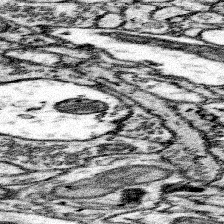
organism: Mouse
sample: Somatosensory cortex neuropil